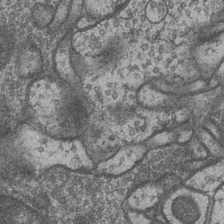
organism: Drosophila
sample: Optic medulla